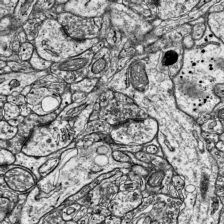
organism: Mouse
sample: Visual Cortex